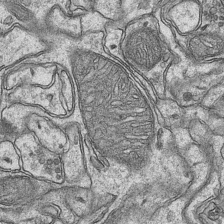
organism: Mouse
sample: CA1 Hippocampus